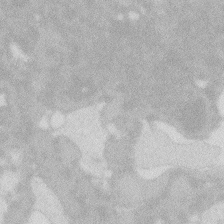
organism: Zebrafish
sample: Macrophage